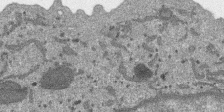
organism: Human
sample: Lung epithelial cells infected with SARS-CoV-2